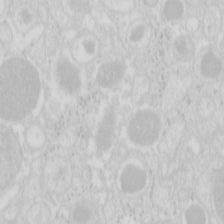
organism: Mouse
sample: Pancreas